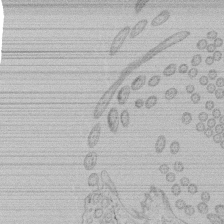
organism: Tetrahymena